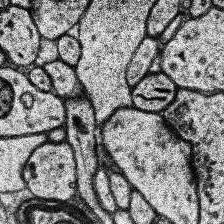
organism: Human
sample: Temporal Lobe